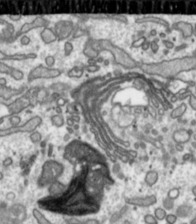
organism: Toxoplasma gondii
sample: Parasites in a vacuole inside a host cell